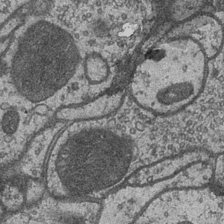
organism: Drosophila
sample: Optic medulla